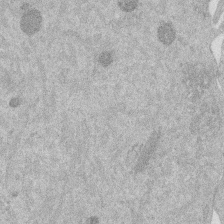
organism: Mouse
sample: Dividing mouse embryo 1 cell stage